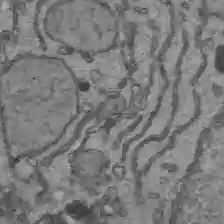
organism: C57BL Mouse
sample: Liver